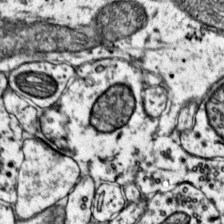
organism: Mouse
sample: Primary visual cortex